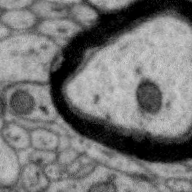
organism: Zebra finch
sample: Brain